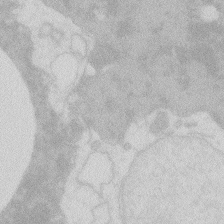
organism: Zebrafish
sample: Macrophage